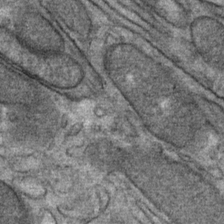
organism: Mouse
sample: Mouse Salivary gland